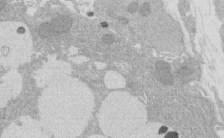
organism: Rat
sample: Salivary granule